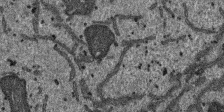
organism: Human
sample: Lung epithelial cells infected with SARS-CoV-2